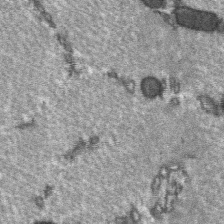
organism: C57BL Mouse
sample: Soleus